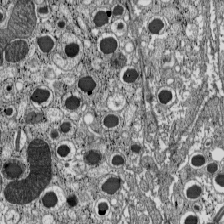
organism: C57BL Mouse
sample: Pancreatic islet